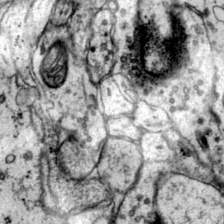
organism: Mouse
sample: Primary visual cortex